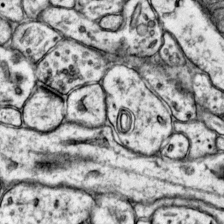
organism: Mouse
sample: Primary visual cortex